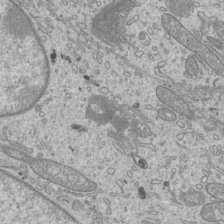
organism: Mouse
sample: Cilia; mouse epididymis